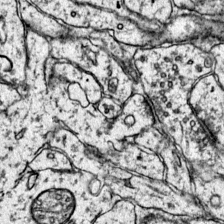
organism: Mouse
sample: Primary visual cortex